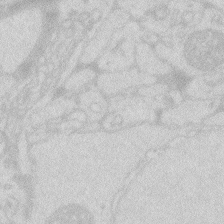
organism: Zebrafish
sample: Macrophage